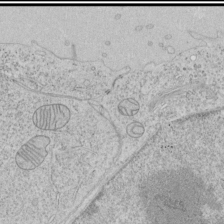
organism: Human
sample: Mitochondria in HCT116 cells